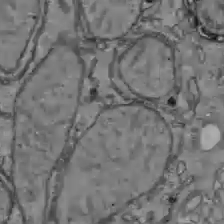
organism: C57BL Mouse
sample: Liver